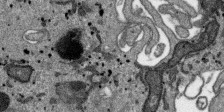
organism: Human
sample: Lung epithelial cells, uninfected (mock) control